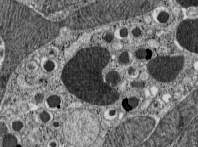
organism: C57BL Mouse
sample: Pancreatic islet